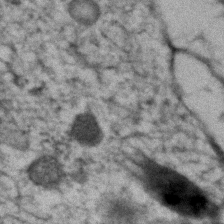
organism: Human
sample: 1205lu cells